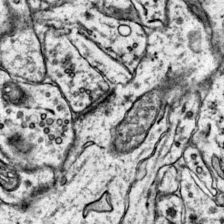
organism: Mouse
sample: Primary visual cortex